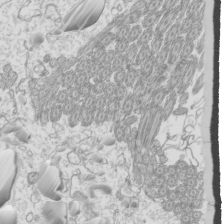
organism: Mouse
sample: Cilia; mouse epididymis